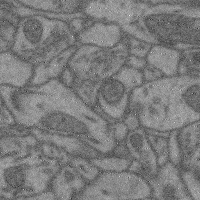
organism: Mouse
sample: Cerebral cortex